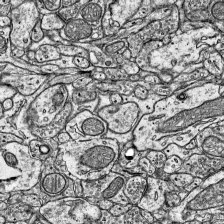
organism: Mouse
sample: Visual Cortex